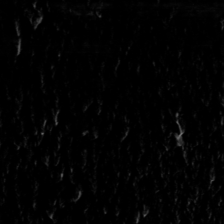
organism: Toxoplasma gondii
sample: Parasites in a vacuole inside a host cell